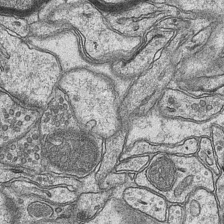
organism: Mouse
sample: CA1 Hippocampus